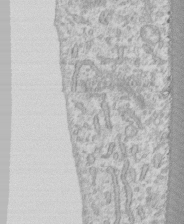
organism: Human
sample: CRL-1474